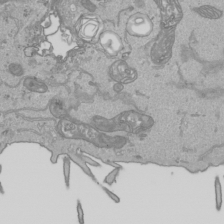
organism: Human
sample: Mitochondria in HCT116 cells